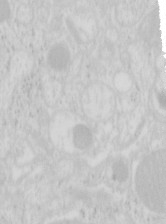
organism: Mouse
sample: Pancreas